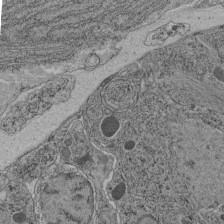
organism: C. elegans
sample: C. elegans pharynx